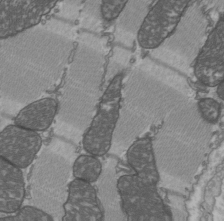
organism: C57BL Mouse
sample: Heart